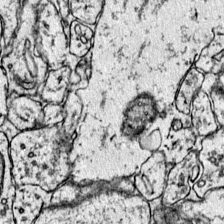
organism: Mouse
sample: Primary visual cortex